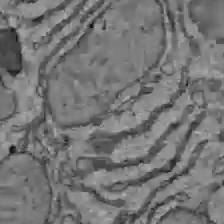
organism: C57BL Mouse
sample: Liver